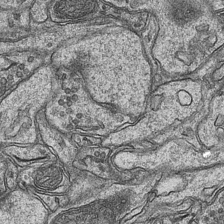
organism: Mouse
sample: CA1 Hippocampus